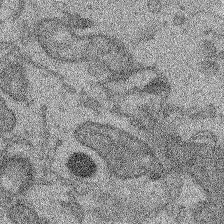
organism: Human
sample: HeLa cells